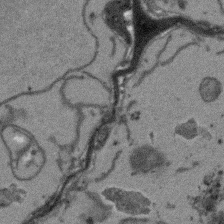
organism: Arabidopsis thaliana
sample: Root tip